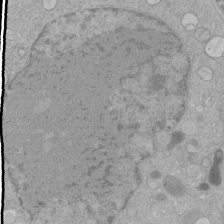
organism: Human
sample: Mitochondria in HCT116 cells